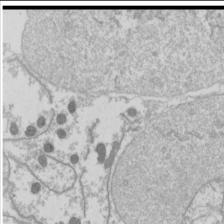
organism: Drosophila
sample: Cell division; meiosis; drosophila spermatocytes